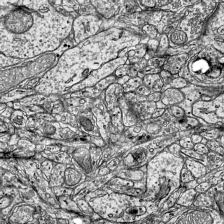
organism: Mouse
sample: Visual Cortex